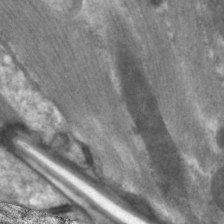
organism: C. elegans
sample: Pharynx